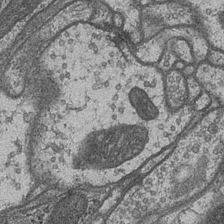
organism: Drosophila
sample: Optic medulla